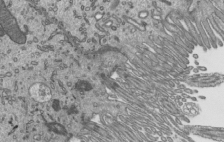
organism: Mouse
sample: Mouse epididymis efferent ductule cilia